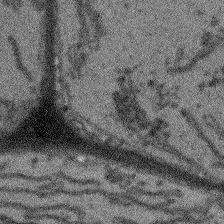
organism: Arabidopsis thaliana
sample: Root tip